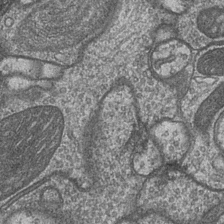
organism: Drosophila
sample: Optic medulla